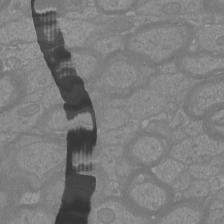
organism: Mouse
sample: Cortical neurons